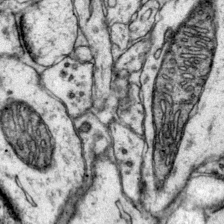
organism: Mouse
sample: Primary visual cortex